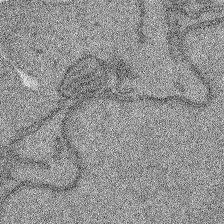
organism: Human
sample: HeLa cells